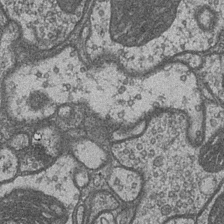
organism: Drosophila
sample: Optic medulla